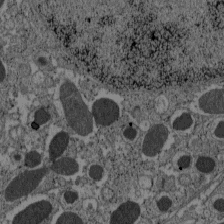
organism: C57BL Mouse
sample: Pancreatic islet